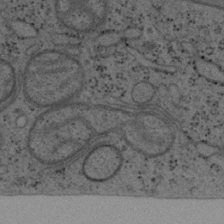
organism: Human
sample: HeLa cells